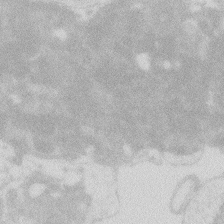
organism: Zebrafish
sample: Macrophage